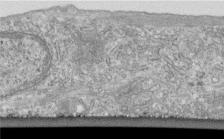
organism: Human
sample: Centriole in fibroblast cells